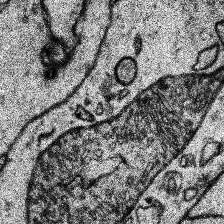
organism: Human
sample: Temporal Lobe